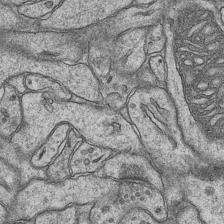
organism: Mouse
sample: CA1 Hippocampus